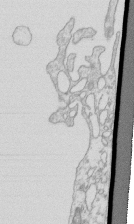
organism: Mouse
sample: Macrophages